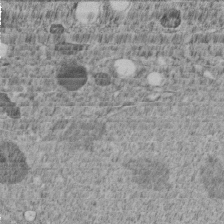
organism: C. elegans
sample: C. elegans embryo early stage